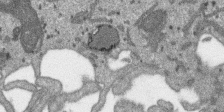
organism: Human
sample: Lung epithelial cells infected with SARS-CoV-2